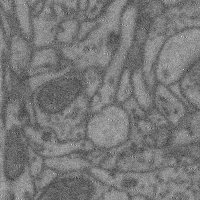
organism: Mouse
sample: Cerebral cortex